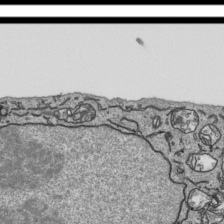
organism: Human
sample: Mitochondria in HCT116 cells